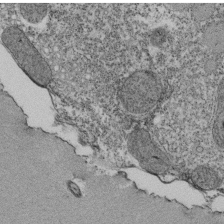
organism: Tetrahymena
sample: Cilia in tetrahymena